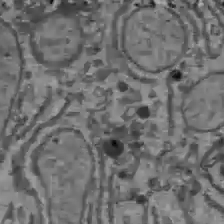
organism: C57BL Mouse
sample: Liver